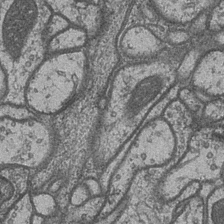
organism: Drosophila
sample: Optic medulla